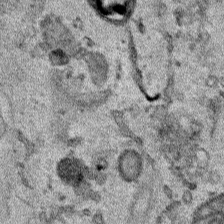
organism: Human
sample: Mitochondria in HCT116 cells